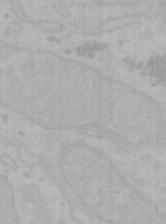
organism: Mouse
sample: Choroid plexus